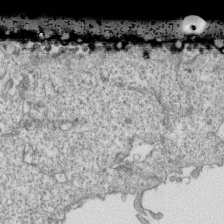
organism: Human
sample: HeLa cell HIV synapse